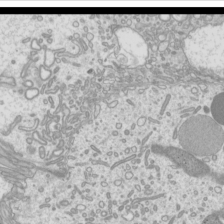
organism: Mouse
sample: Cilia; mouse epididymis